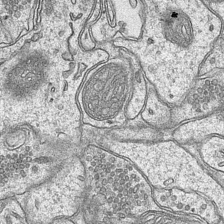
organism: Mouse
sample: CA1 Hippocampus